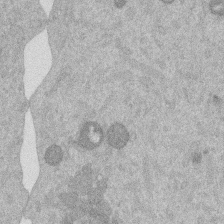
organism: Mouse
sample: Dividing mouse embryo 1 cell stage